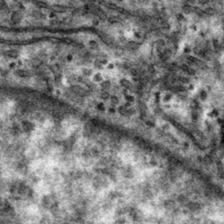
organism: Mouse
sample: Mouse hepatocytes